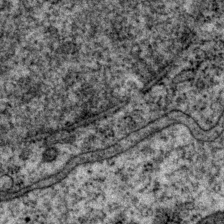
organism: P. pacificus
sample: Pharynx